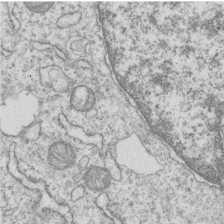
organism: Human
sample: MDA-MB-231 cells